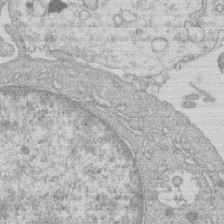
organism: Human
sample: Macrophage cells